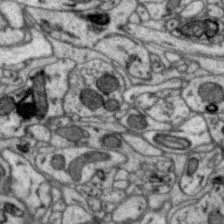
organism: Zebra finch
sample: Brain